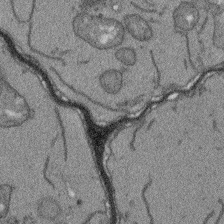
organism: Arabidopsis thaliana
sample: Root tip